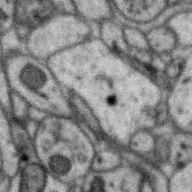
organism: Zebra finch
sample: Brain